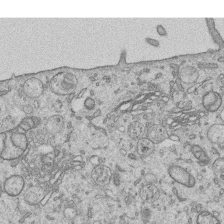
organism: Human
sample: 1205lu cells